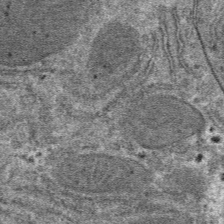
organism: Mouse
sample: Mouse hepatocytes